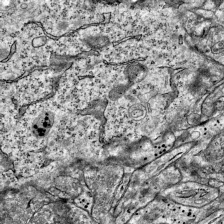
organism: Mouse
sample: Visual Cortex